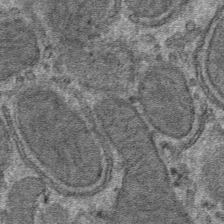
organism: Mouse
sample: Mouse hepatocytes